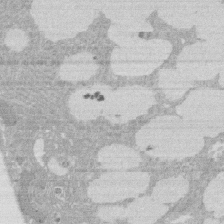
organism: Rat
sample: Salivary granule